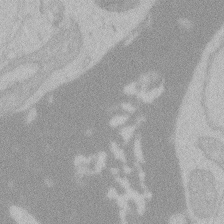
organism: Zebrafish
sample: Macrophage infected with Toxoplasma gondii